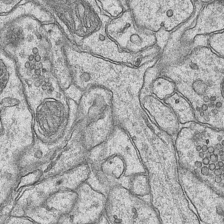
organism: Mouse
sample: CA1 Hippocampus